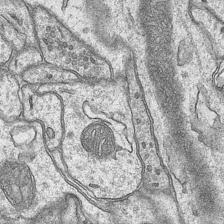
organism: Mouse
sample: CA1 Hippocampus